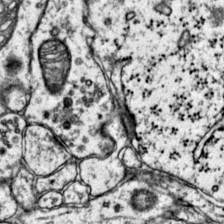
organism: Mouse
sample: Primary visual cortex